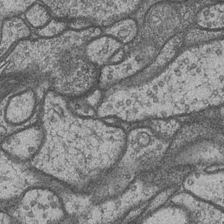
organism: Drosophila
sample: Optic medulla